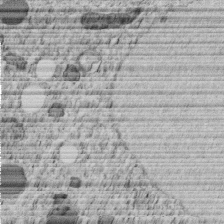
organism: C. elegans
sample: C. elegans embryo early stage